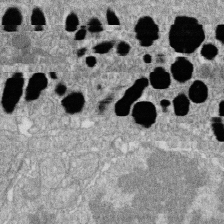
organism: Zebrafish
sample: Cilia; retinal pigment epithelium